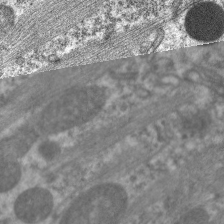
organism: C. elegans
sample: Pharynx